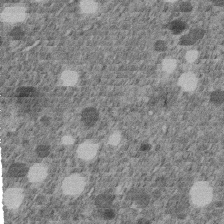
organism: C. elegans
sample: C. elegans embryo early stage